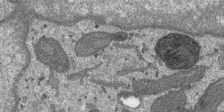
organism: Human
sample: Lung epithelial cells infected with SARS-CoV-2